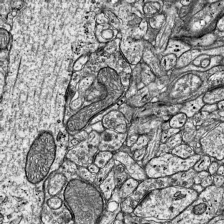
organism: Mouse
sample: Visual Cortex